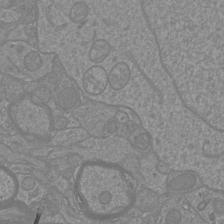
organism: Mouse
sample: Cortical neurons